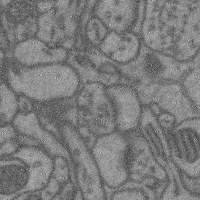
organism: Mouse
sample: Cerebral cortex